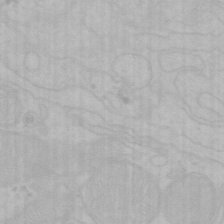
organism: Mouse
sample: Choroid plexus